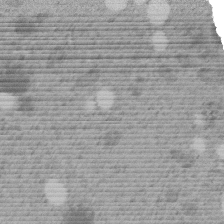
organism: C. elegans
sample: C. elegans embryo early stage